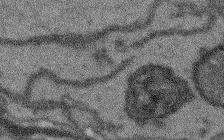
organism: Arabidopsis thaliana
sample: Root tip